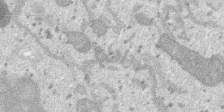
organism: Human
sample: Lung epithelial cells infected with SARS-CoV-2